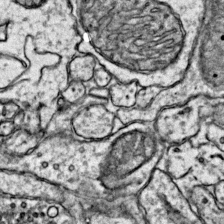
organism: Mouse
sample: Primary visual cortex